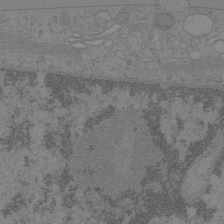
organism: Human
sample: HeLa cells